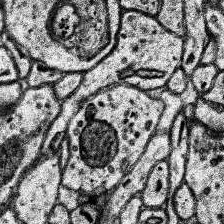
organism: Human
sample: Temporal Lobe